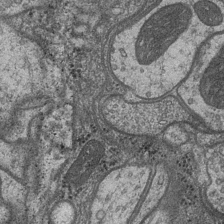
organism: Drosophila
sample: Optic medulla